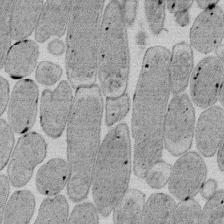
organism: E. coli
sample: Bacterial nucleoid